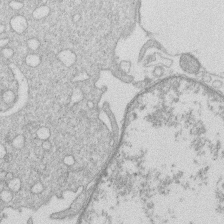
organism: Human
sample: Macrophage cells